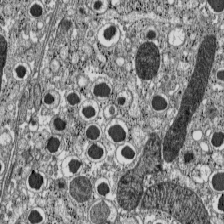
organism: C57BL Mouse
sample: Pancreatic islet